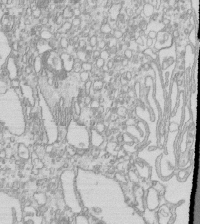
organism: Mouse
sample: Macrophages